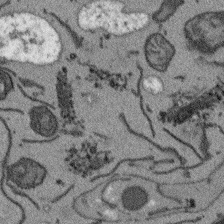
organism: Arabidopsis thaliana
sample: Root tip